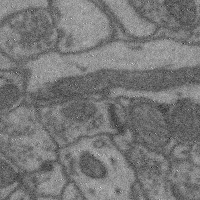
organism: Mouse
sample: Cerebral cortex